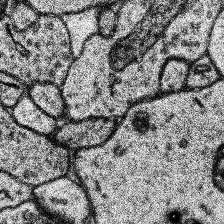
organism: Human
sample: Temporal Lobe